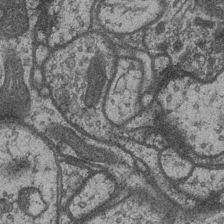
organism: Drosophila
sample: Optic medulla